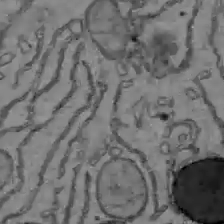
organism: C57BL Mouse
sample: Liver